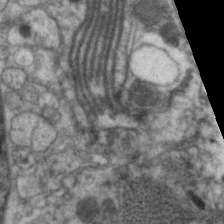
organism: C. elegans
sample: Pharynx